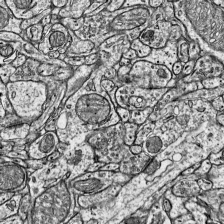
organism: Mouse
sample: Visual Cortex